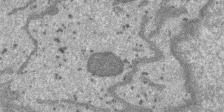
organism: Human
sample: Lung epithelial cells infected with SARS-CoV-2